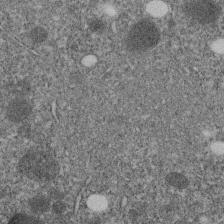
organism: C. elegans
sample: C. elegans embryo early stage